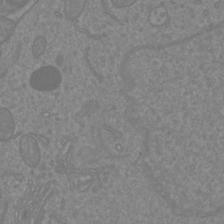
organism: Mouse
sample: Cortical neurons